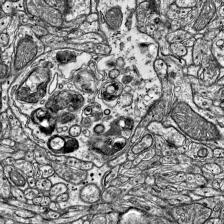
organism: Mouse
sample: Visual Cortex